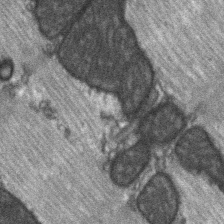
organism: C57BL Mouse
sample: Soleus